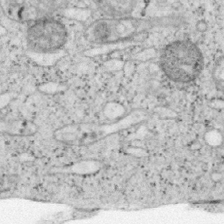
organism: Mouse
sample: OT-I killer T cells with ID8 ovarian cancer cells